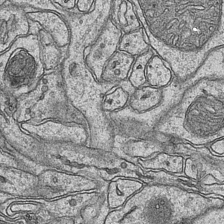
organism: Mouse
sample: CA1 Hippocampus